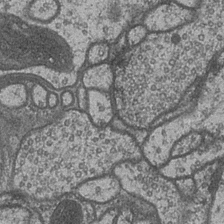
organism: Drosophila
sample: Optic medulla